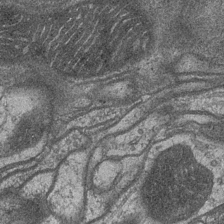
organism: Drosophila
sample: Optic medulla